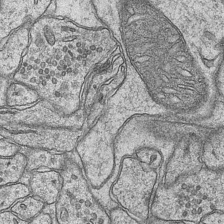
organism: Mouse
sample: CA1 Hippocampus